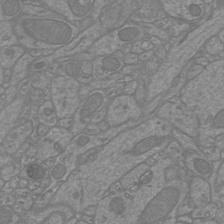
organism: Mouse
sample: Cortical neurons